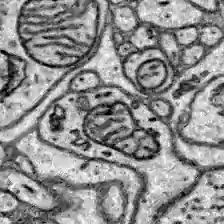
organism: Zebrafish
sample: Brain